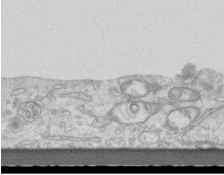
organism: Mouse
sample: Centriole in ependymal cells